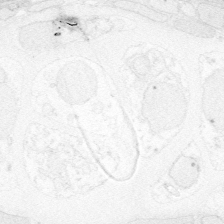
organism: Zebrafish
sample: Whole-Brain